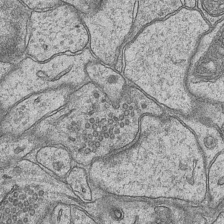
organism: Mouse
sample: CA1 Hippocampus